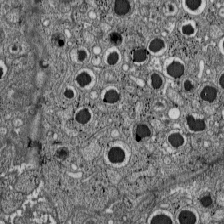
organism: C57BL Mouse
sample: Pancreatic islet